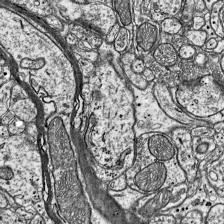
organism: Mouse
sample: Visual Cortex